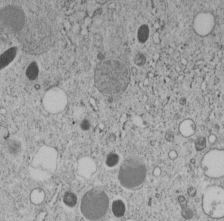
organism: C. elegans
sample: C. elegans embryo early stage